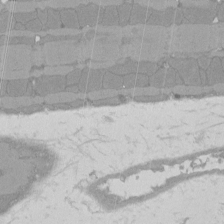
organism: Rat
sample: Left ventricle